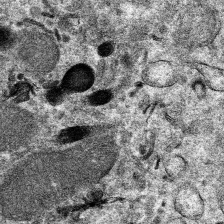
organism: Mouse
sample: Mouse hepatocytes